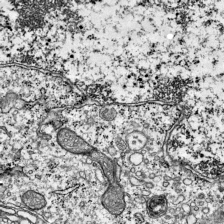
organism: Mouse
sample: Visual Cortex